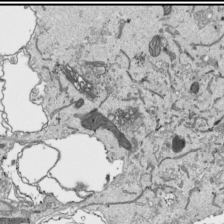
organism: Human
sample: Mitochondria in HCT116 cells